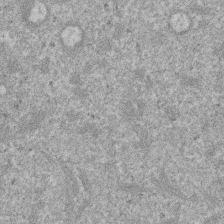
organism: Mouse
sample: Dividing mouse embryo 1 cell stage